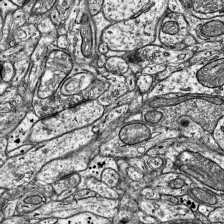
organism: Mouse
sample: Visual Cortex